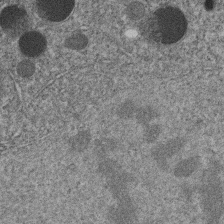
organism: C. elegans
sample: C. elegans embryo early stage